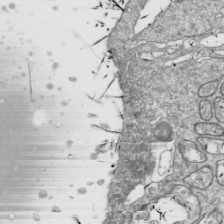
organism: Drosophila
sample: Cell division; meiosis; drosophila spermatocytes